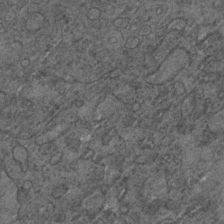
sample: Trachea